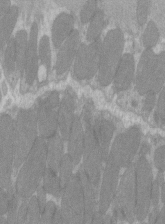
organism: C57BL Mouse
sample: Tibialis anterior muscle cell